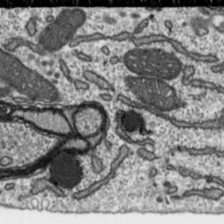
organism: Toxoplasma gondii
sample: Parasites in a vacuole inside a host cell